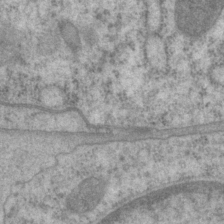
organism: P. pacificus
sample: Pharynx